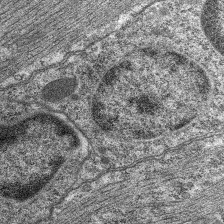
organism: C. elegans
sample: Pharynx